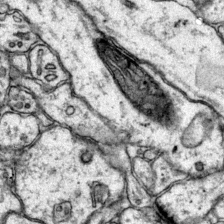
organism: Mouse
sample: Primary visual cortex